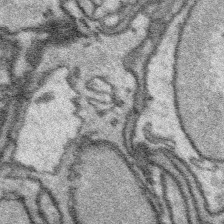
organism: Platynereis dumerilii